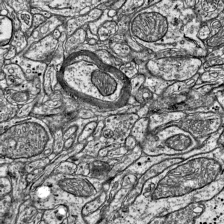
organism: Mouse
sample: Visual Cortex